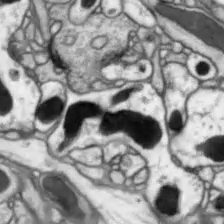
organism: Drosophila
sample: Optic lobe